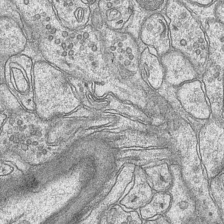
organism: Mouse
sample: CA1 Hippocampus